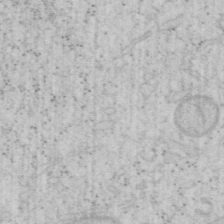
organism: Human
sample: HeLa cells